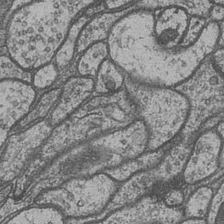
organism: Drosophila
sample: Optic medulla